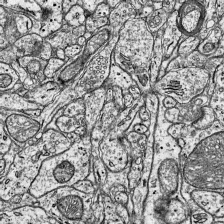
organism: Mouse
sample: Visual Cortex